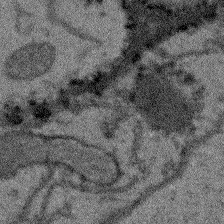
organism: Arabidopsis thaliana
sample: Root tip